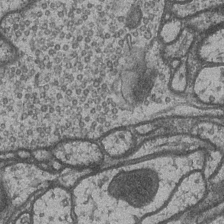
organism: Drosophila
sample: Optic medulla